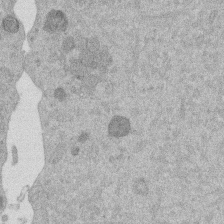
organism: Mouse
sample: Dividing mouse embryo 1 cell stage